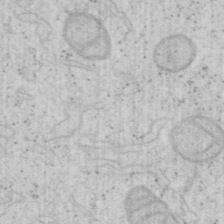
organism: Human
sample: HeLa cells